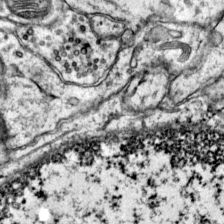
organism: Mouse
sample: Primary visual cortex